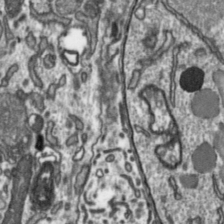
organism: Toxoplasma gondii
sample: Parasites in a vacuole inside a host cell